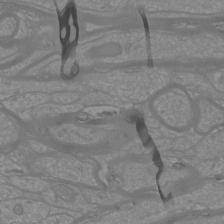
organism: Mouse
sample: Cortical neurons